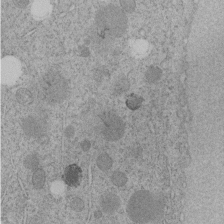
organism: C. elegans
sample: C. elegans embryo early stage